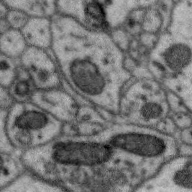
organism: Zebra finch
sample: Brain